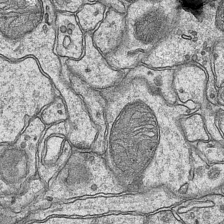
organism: Mouse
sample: CA1 Hippocampus